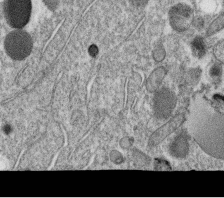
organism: C. elegans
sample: C. elegans oocyte; sperm cells